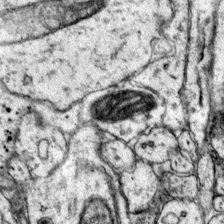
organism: Mouse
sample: Primary visual cortex